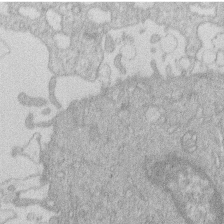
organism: Human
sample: Macrophage cells